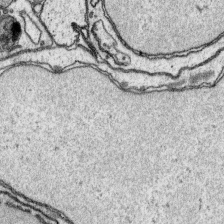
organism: Platynereis dumerilii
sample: Parapodia